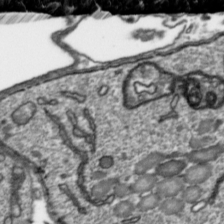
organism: Toxoplasma gondii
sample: Parasites in a vacuole inside a host cell